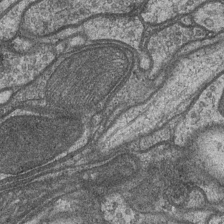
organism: Drosophila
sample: Optic medulla